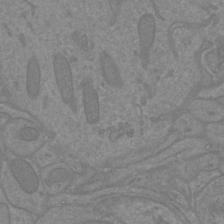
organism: Mouse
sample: Cortical neurons